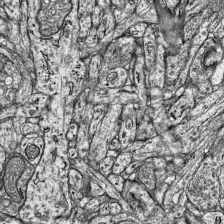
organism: Mouse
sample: Visual Cortex